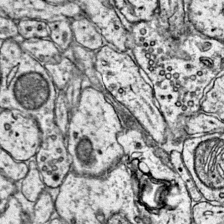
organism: Mouse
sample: Primary visual cortex